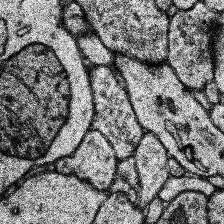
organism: Human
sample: Temporal Lobe